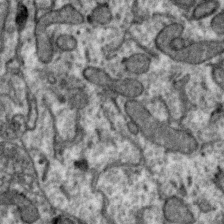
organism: Zebra finch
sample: Brain